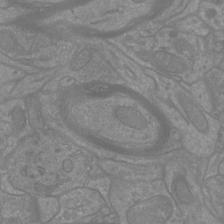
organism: Mouse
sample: Cortical neurons